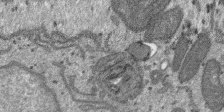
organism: Human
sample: Lung epithelial cells infected with SARS-CoV-2